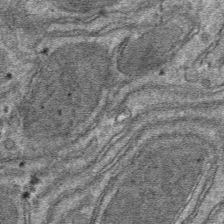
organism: Mouse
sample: Mouse hepatocytes